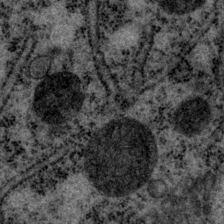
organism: P. pacificus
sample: Pharynx